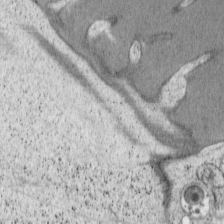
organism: African green monkey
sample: COS-7 cells